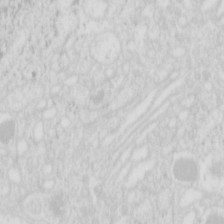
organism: Mouse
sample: Pancreas